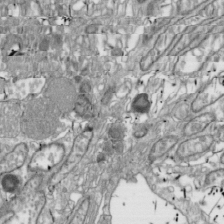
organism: Drosophila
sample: Cell division; meiosis; drosophila spermatocytes